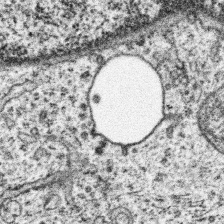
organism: Human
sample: HeLa cells